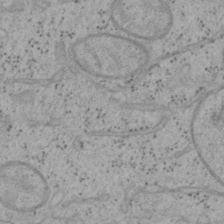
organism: Human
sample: HeLa cells